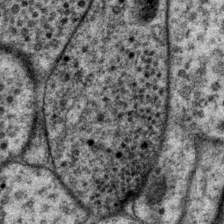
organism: P. pacificus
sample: Pharynx